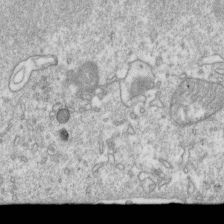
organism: Mouse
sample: Activated OT-1 CD8+ T cells